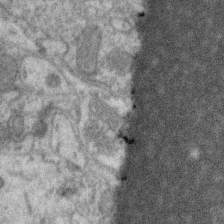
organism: Zebra finch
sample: Brain